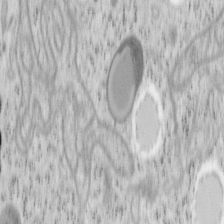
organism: Human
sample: HeLa cells